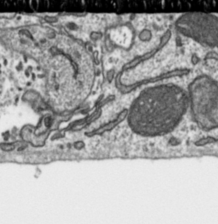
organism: Toxoplasma gondii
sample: Parasites in a vacuole inside a host cell